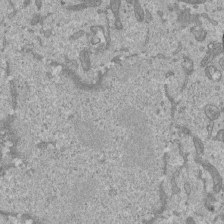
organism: Mouse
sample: ED-1 cell nuclei; centrioles